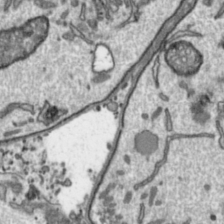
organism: Toxoplasma gondii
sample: Parasites in a vacuole inside a host cell